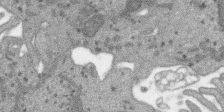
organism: Human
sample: Lung epithelial cells infected with SARS-CoV-2